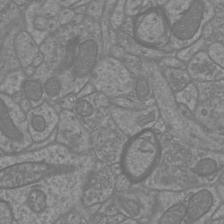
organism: Mouse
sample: Cortical neurons